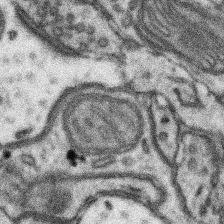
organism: Mouse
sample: Somatosensory cortex neuropil